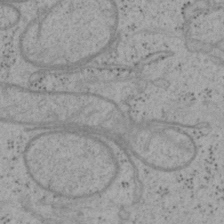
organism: Human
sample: HeLa cells